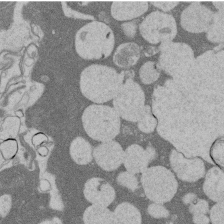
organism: Rat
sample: Salivary granule